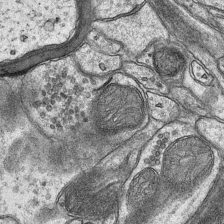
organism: Mouse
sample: CA1 Hippocampus